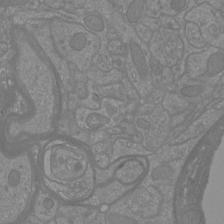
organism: Mouse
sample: Cortical neurons